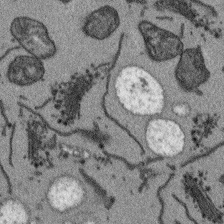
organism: Arabidopsis thaliana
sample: Root tip